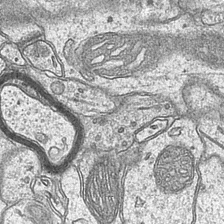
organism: Mouse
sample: CA1 Hippocampus